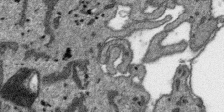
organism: Human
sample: Lung epithelial cells, uninfected (mock) control